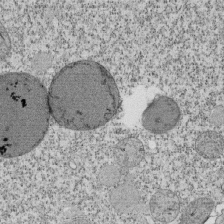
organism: Tetrahymena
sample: Cilia in tetrahymena